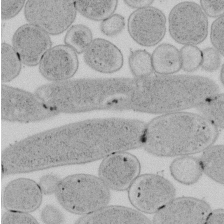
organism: E. coli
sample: Bacterial nucleoid